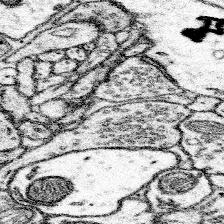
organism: Mouse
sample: Somatosensory cortex neuropil